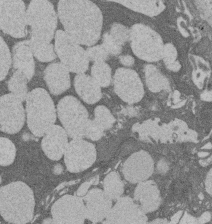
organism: Rat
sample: Salivary granule